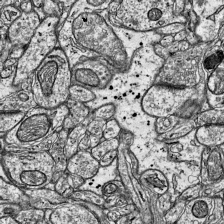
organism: Mouse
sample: Visual Cortex